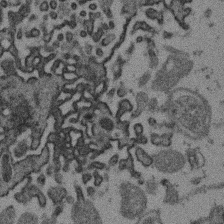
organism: Mouse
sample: Dividing mouse embryo 1 cell stage